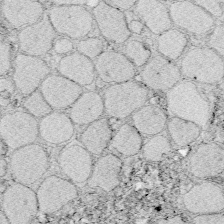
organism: Zebrafish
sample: Whole-Brain